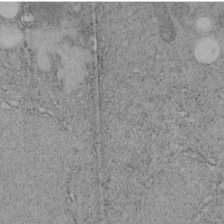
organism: C. elegans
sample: C. elegans embryo early stage